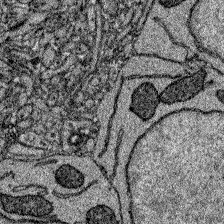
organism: Zebrafish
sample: Larval olfactory bulb